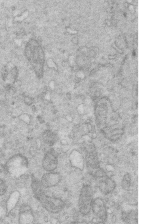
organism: Mouse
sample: Multiciliated cells